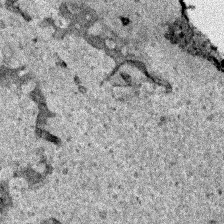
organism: Human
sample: Mitochondria in HCT116 cells